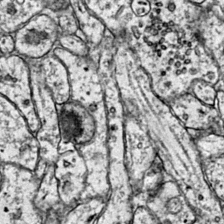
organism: Mouse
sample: Primary visual cortex